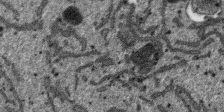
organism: Human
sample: Lung epithelial cells infected with SARS-CoV-2